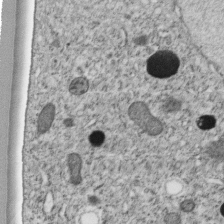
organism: C. elegans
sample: C. elegans embryo early stage